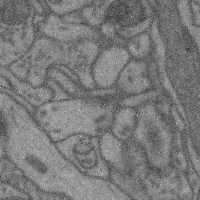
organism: Mouse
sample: Cerebral cortex